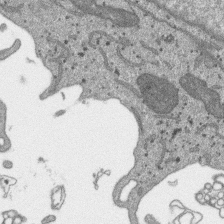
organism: Human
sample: Lung epithelial cells infected with SARS-CoV-2